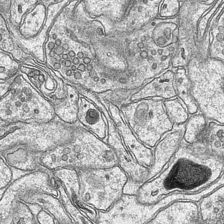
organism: Mouse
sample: CA1 Hippocampus